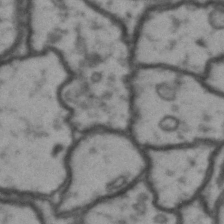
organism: Drosophila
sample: Brain